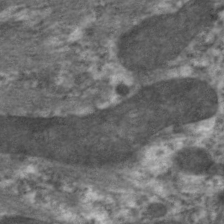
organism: C. elegans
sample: Pharynx